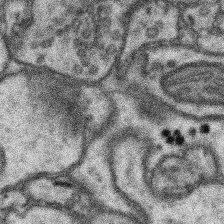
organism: Mouse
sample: Somatosensory cortex neuropil